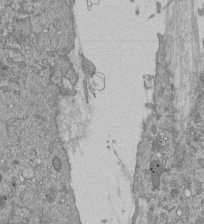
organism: Mouse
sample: ED-1 cell nuclei; centrioles